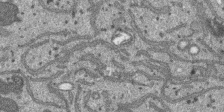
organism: Human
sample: Lung epithelial cells infected with SARS-CoV-2